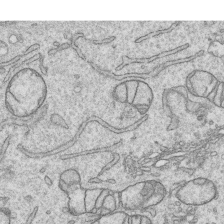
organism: Human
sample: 1205lu cells